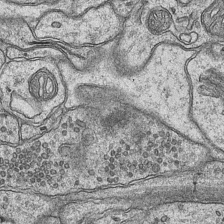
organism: Mouse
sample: CA1 Hippocampus